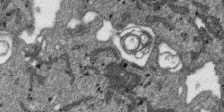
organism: Human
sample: Lung epithelial cells infected with SARS-CoV-2